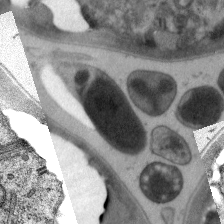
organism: C. elegans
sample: Pharynx